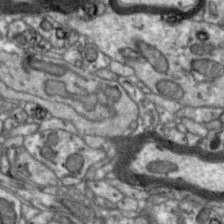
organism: Zebra finch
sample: Brain